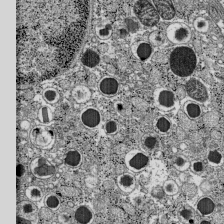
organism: C57BL Mouse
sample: Pancreatic islet